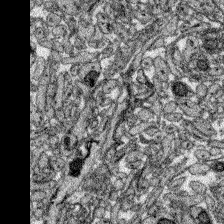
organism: Zebrafish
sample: Larval olfactory bulb